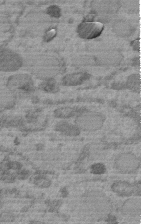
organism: C. elegans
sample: C. elegans embryo early stage